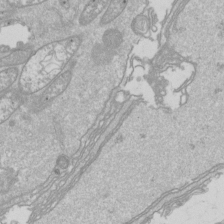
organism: Drosophila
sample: Cell division; meiosis; drosophila spermatocytes